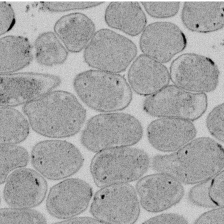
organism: E. coli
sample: Bacterial nucleoid